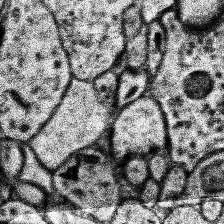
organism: Human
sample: Temporal Lobe